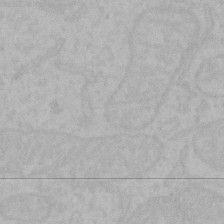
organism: Mouse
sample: Choroid plexus